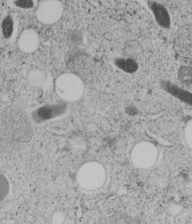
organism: C. elegans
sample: C. elegans embryo early stage